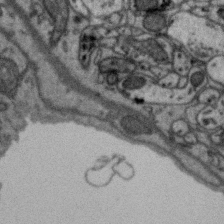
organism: Zebra finch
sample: Brain